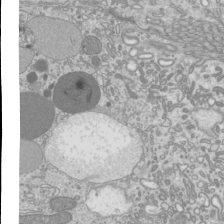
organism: Mouse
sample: Cilia; mouse epididymis